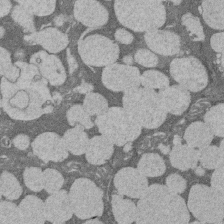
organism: Rat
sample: Salivary granule